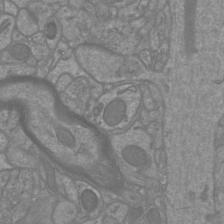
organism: Mouse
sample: Cortical neurons